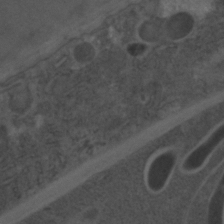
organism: C. elegans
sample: C. elegans embryo